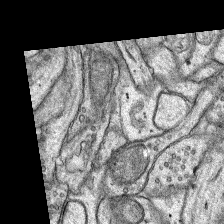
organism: Rat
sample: Hippocampus